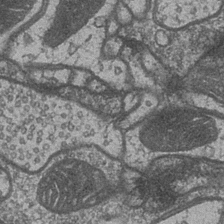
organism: Drosophila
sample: Optic medulla